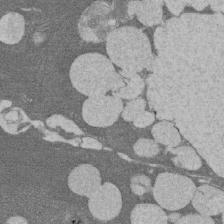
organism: Rat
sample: Salivary granule